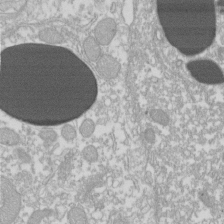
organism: Xenopus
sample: Cilia; centrioles in frog embryo cells